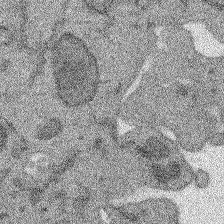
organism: Human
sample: HeLa cells